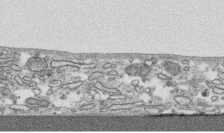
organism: Human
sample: CRL-1474